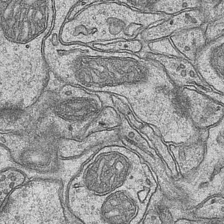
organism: Mouse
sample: CA1 Hippocampus